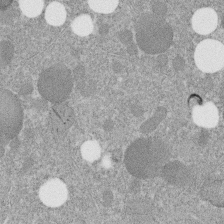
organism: C. elegans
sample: C. elegans embryo early stage